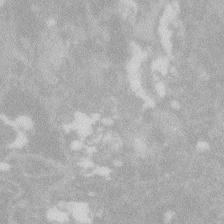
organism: Zebrafish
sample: Macrophage